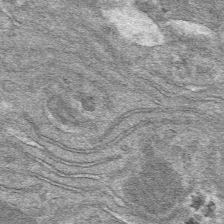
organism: Mouse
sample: Mouse hepatocytes